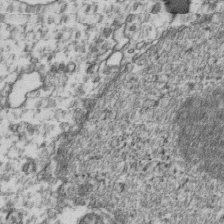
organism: Human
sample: Activated Jurkat CD4+ T cells